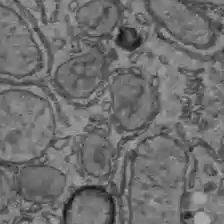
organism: C57BL Mouse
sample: Liver